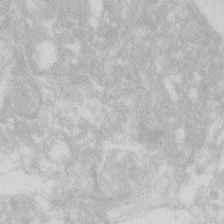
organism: Zebrafish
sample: Macrophage